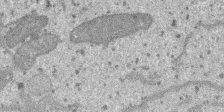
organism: Human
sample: Lung epithelial cells infected with SARS-CoV-2